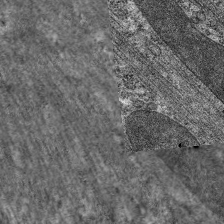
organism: C. elegans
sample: Pharynx